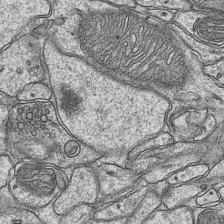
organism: Mouse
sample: CA1 Hippocampus